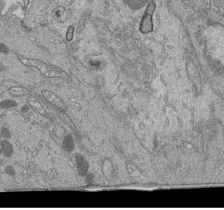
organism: Human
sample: Retinal organoid Rod and Cone cells